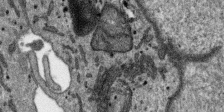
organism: Human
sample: Lung epithelial cells, uninfected (mock) control